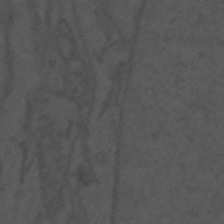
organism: Mouse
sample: Suprachiasmatic nucleus